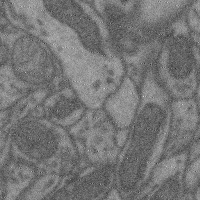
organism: Mouse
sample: Cerebral cortex